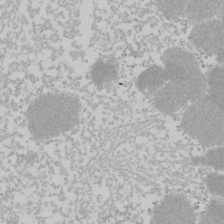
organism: Mouse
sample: Cancer cell death in ED-1 cells